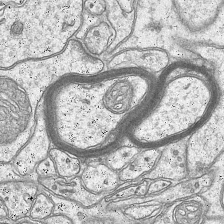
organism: Mouse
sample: CA1 Hippocampus